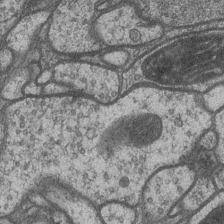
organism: Drosophila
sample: Optic medulla